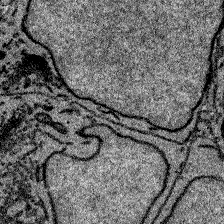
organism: Zebrafish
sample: Larval olfactory bulb